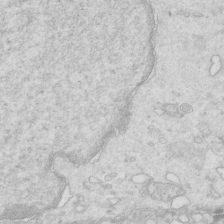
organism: Mouse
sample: Multiciliated cells